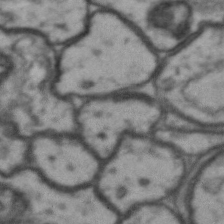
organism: Drosophila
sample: Brain